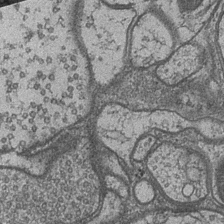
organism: Drosophila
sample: Optic medulla